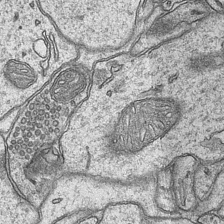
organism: Mouse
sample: CA1 Hippocampus